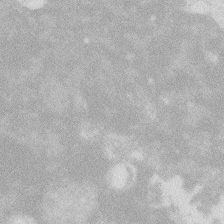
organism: Zebrafish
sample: Macrophage